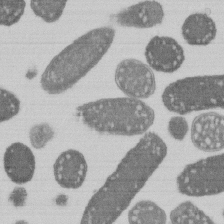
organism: E. coli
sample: Bacterial nucleoid